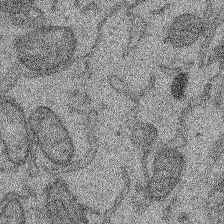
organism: Human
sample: HeLa cells